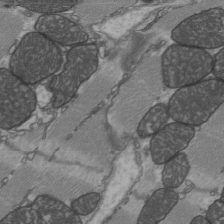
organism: C57BL Mouse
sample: Heart